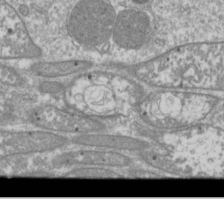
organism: Drosophila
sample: Cell division; meiosis; drosophila spermatocytes